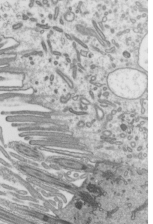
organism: Mouse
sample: Mouse epididymis efferent ductule cilia